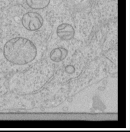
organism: Human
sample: Mitochondria in HCT116 cells